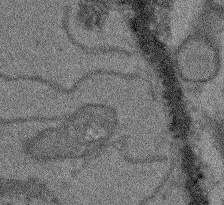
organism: Arabidopsis thaliana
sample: Root tip